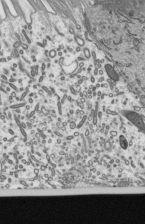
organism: Mouse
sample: Mouse epididymis efferent ductule cilia